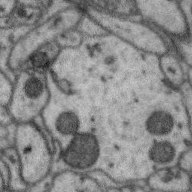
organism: Zebra finch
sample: Brain